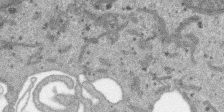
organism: Human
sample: Lung epithelial cells infected with SARS-CoV-2